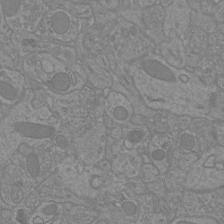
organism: Mouse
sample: Cortical neurons